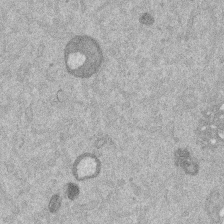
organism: Mouse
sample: Dividing mouse embryo 1 cell stage